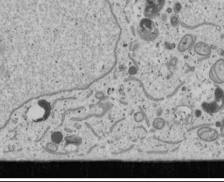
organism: Human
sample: Mitochondria in U2OS cells